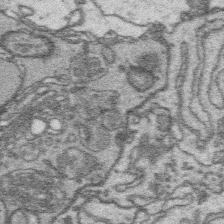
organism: Platynereis dumerilii